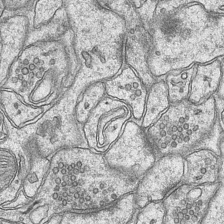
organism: Mouse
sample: CA1 Hippocampus